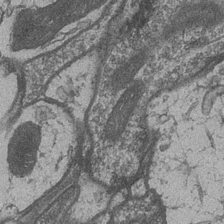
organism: Drosophila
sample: Optic medulla